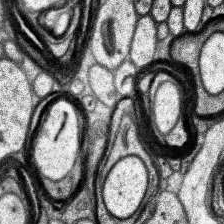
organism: Human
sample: Temporal Lobe